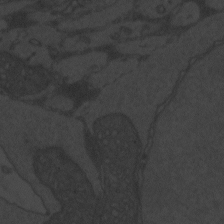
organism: Zebrafish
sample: Macrophage infected with Toxoplasma gondii